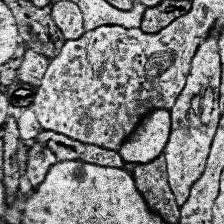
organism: Human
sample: Temporal Lobe